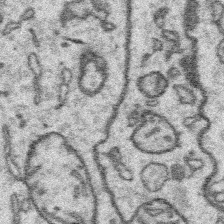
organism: Platynereis dumerilii